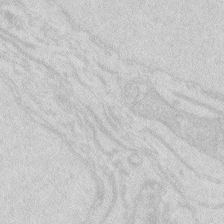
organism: Zebrafish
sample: Macrophage